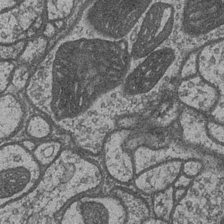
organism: Drosophila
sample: Optic medulla